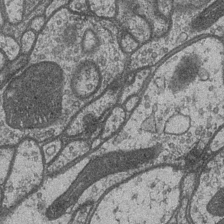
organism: Drosophila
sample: Optic medulla